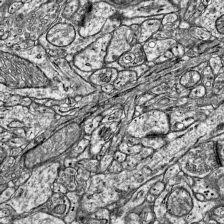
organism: Mouse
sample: Visual Cortex